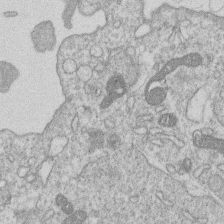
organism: Human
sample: Macrophage cells